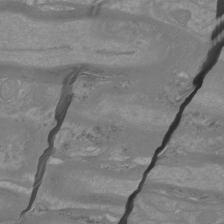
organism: Mouse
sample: Cortical neurons